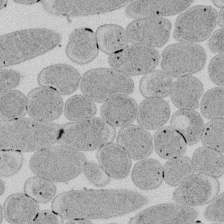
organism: E. coli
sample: Bacterial nucleoid